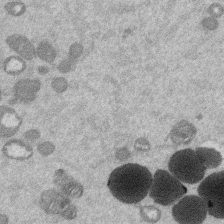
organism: Mouse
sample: Dividing mouse embryo 1 cell stage